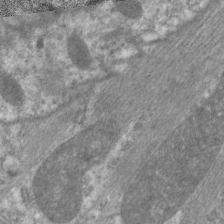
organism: C. elegans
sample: Pharynx